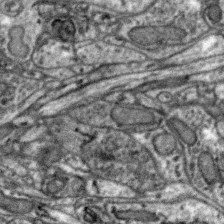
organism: Zebra finch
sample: Brain